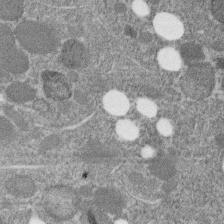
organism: C. elegans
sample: C. elegans embryo early stage